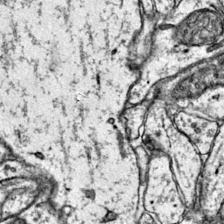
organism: Mouse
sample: Primary visual cortex